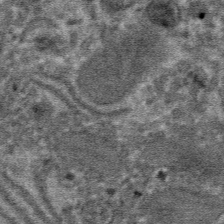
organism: Mouse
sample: Mouse hepatocytes